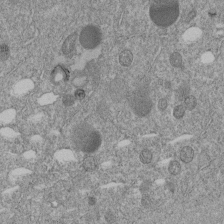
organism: C. elegans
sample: C. elegans embryo early stage